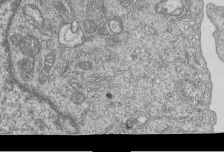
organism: Human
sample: MDA-MB-231 cells